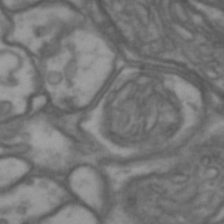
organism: Drosophila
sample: Brain